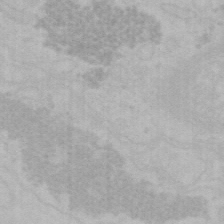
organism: Mouse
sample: Choroid plexus